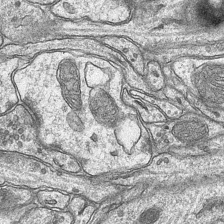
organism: Mouse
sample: CA1 Hippocampus